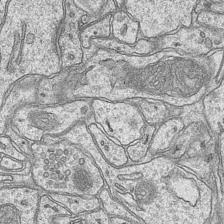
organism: Mouse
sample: CA1 Hippocampus